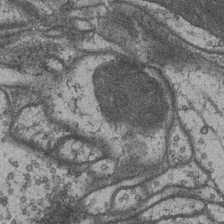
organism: Drosophila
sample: Optic medulla